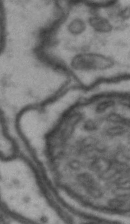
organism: Drosophila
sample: Brain